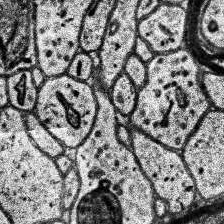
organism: Human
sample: Temporal Lobe